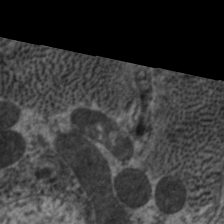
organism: C. elegans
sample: Pharynx